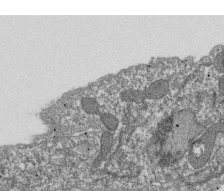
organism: Dictyostelium discoideum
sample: Dictyostelium multivesicular bodies